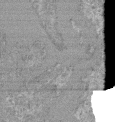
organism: Mouse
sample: Glomerulus